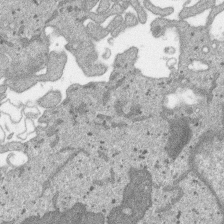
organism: Human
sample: Lung epithelial cells infected with SARS-CoV-2